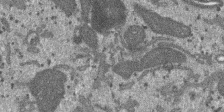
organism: Human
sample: Lung epithelial cells infected with SARS-CoV-2